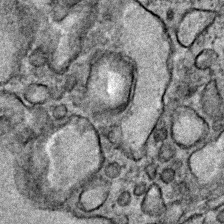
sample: Trachea